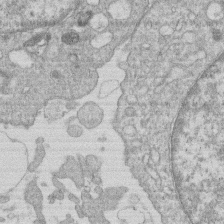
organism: Human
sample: Macrophage cells